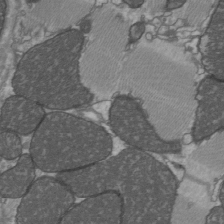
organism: C57BL Mouse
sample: Heart